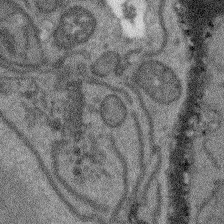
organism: Arabidopsis thaliana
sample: Root tip